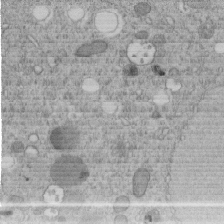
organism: C. elegans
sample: C. elegans embryo early stage